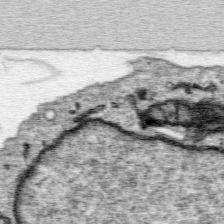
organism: Human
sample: HeLa cells